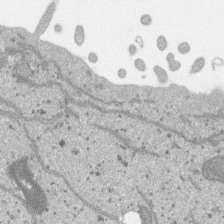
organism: Human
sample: Lung epithelial cells infected with SARS-CoV-2